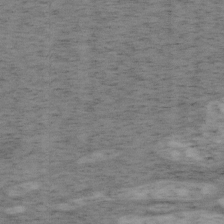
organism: Mouse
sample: OT-I killer T cells with ID8 ovarian cancer cells